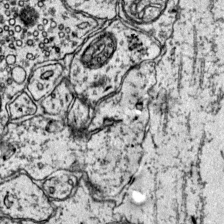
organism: Mouse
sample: Primary visual cortex